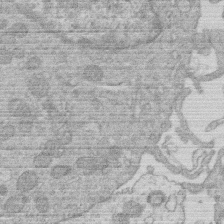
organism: Human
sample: Macrophage cells